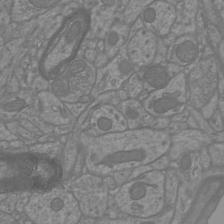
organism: Mouse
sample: Cortical neurons